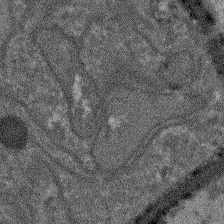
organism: Arabidopsis thaliana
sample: Root tip